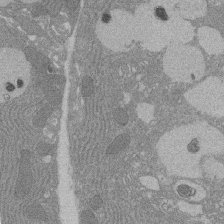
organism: Rat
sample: Salivary granule